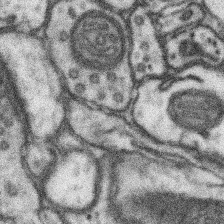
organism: Mouse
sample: Somatosensory cortex neuropil